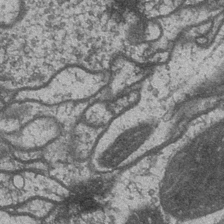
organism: Drosophila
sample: Optic medulla